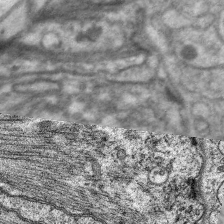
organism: C. elegans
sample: Pharynx